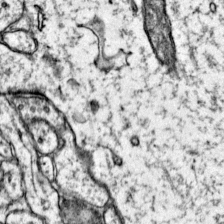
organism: Mouse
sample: Primary visual cortex